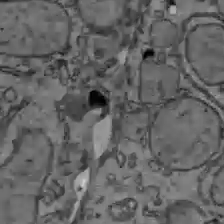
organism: C57BL Mouse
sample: Liver